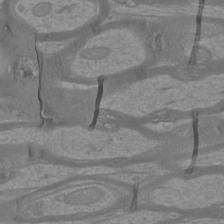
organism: Mouse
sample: Cortical neurons